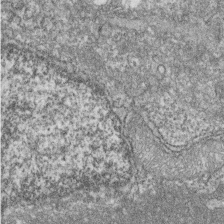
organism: Zebrafish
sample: Cilia; retinal pigment epithelium